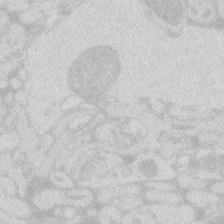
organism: Zebrafish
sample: Macrophage